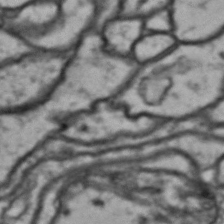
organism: Drosophila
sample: Brain